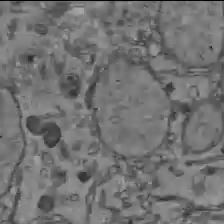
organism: C57BL Mouse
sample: Liver